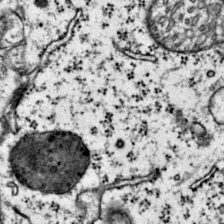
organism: Mouse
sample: Primary visual cortex